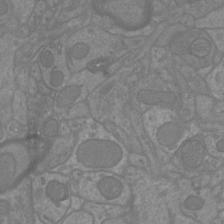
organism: Mouse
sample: Cortical neurons